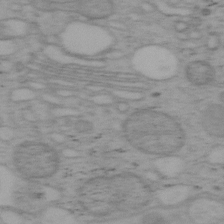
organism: Mouse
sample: OT-I killer T cells with ID8 ovarian cancer cells